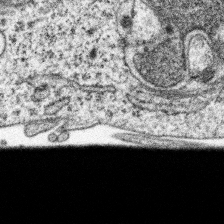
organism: Human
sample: HeLa cells